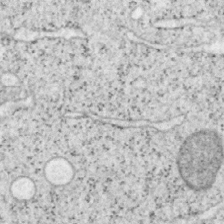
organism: Mouse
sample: OT-I killer T cells with ID8 ovarian cancer cells